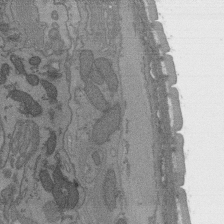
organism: C. elegans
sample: AFD neurons C. elegans